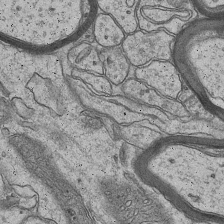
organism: Mouse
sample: CA1 Hippocampus